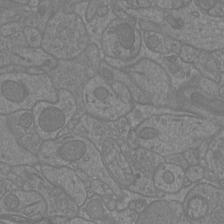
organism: Mouse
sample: Cortical neurons